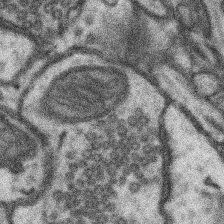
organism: Mouse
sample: Somatosensory cortex neuropil